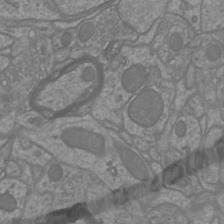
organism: Mouse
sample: Cortical neurons